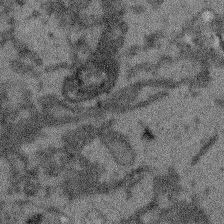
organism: Arabidopsis thaliana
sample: Root tip